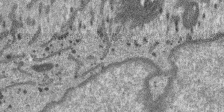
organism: Human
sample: Lung epithelial cells infected with SARS-CoV-2